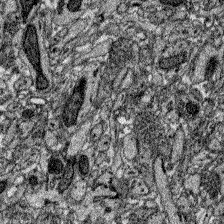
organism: Zebrafish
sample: Larval olfactory bulb